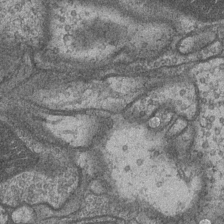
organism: Drosophila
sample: Optic medulla